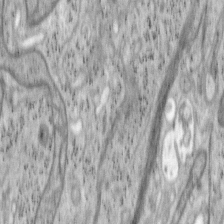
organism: Human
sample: HeLa cells